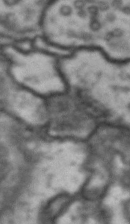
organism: Drosophila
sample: Brain